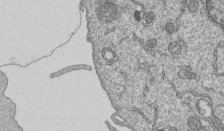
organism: Human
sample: MDA-MB-231 cells